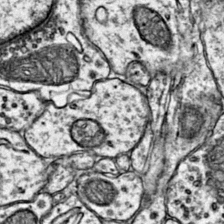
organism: Mouse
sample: Primary visual cortex